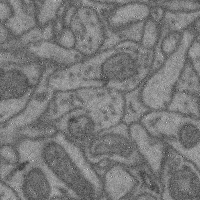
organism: Mouse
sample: Cerebral cortex